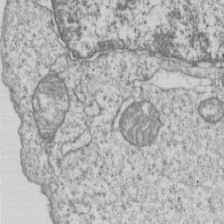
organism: Human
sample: MDA-MB-231 cells